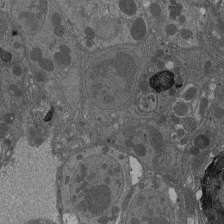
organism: Drosophila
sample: Antenna